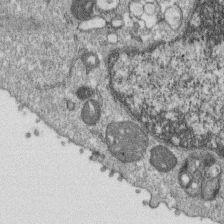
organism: African green monkey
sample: Vero E6 cells infected with SARS-CoV-2